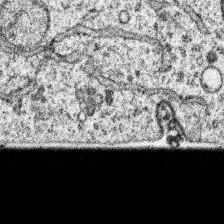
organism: Human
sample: HeLa cells